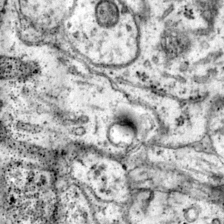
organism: Mouse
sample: Primary visual cortex